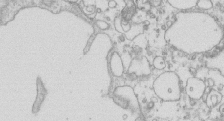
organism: Mouse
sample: Macrophages